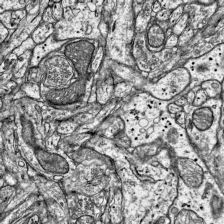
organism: Mouse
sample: Visual Cortex